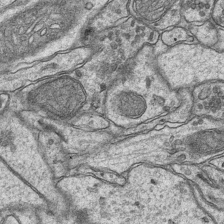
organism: Mouse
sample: CA1 Hippocampus